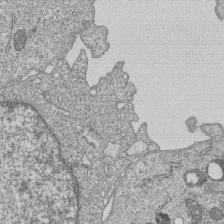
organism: Human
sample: MDA-MB-231 cells